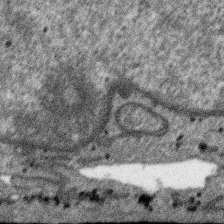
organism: Human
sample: Lung epithelial cells infected with SARS-CoV-2